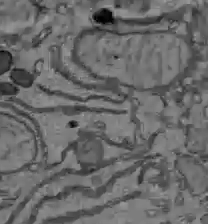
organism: C57BL Mouse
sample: Liver